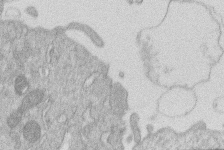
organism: Human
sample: Macrophage cells